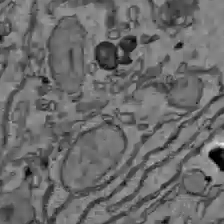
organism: C57BL Mouse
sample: Liver